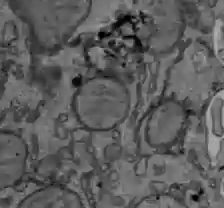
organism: C57BL Mouse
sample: Liver